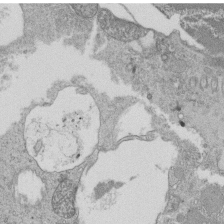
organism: Tetrahymena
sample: Cilia in tetrahymena